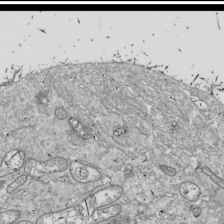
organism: Drosophila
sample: Cell division; meiosis; drosophila spermatocytes